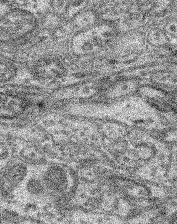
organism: Mouse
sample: Retina